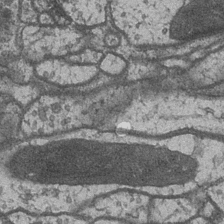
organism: Drosophila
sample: Optic medulla